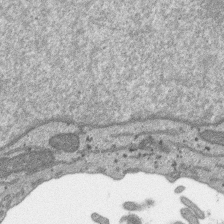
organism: Human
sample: Lung epithelial cells infected with SARS-CoV-2